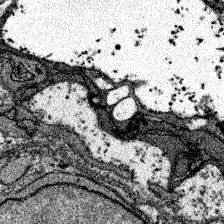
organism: Zebrafish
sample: Larval olfactory bulb